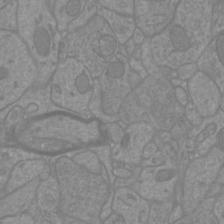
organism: Mouse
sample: Cortical neurons